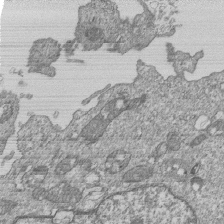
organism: Human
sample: MDA-MB-231 cells